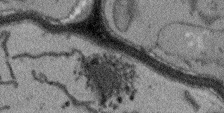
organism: Arabidopsis thaliana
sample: Root tip